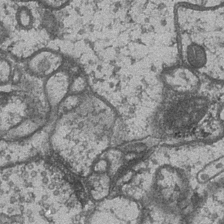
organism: Drosophila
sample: Optic medulla